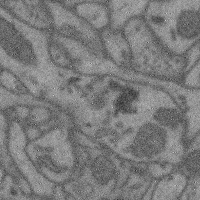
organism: Mouse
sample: Cerebral cortex